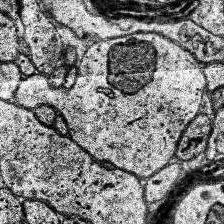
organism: Human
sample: Temporal Lobe